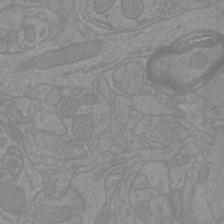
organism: Mouse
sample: Cortical neurons